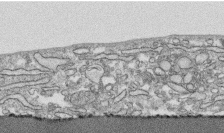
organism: Human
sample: CRL-1474